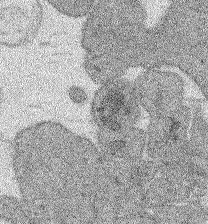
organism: Human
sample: HeLa cells